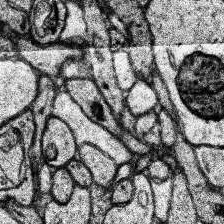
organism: Human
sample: Temporal Lobe